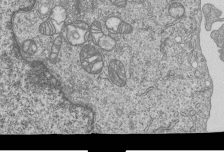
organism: Human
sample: MDA-MB-231 cells